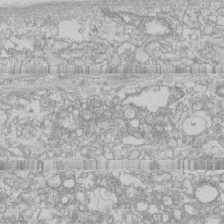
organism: Human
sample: CRL-1474